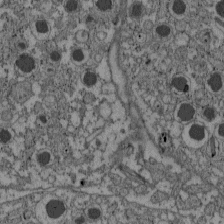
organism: C57BL Mouse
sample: Pancreatic islet